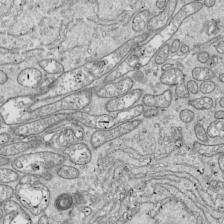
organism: Drosophila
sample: Cell division; meiosis; drosophila spermatocytes